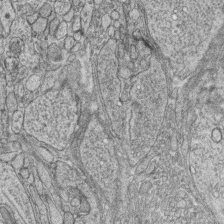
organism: Zebrafish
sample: synaptic ribbons in rod cells and cone cells